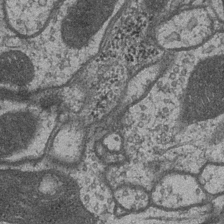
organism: Drosophila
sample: Optic medulla